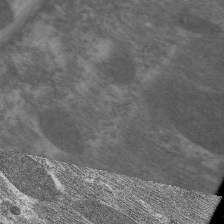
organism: C. elegans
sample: Pharynx